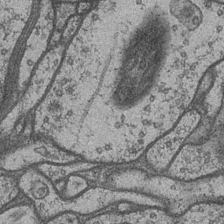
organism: Drosophila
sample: Optic medulla